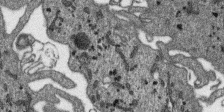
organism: Human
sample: Lung epithelial cells infected with SARS-CoV-2